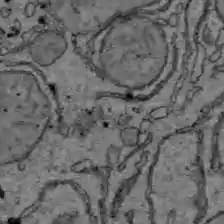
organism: C57BL Mouse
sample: Liver